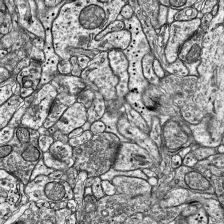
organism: Mouse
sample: Visual Cortex